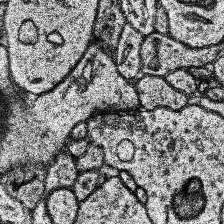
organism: Human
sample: Temporal Lobe